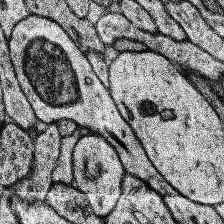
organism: Human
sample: Temporal Lobe